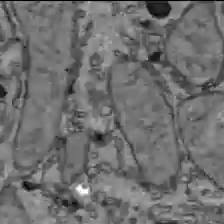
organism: C57BL Mouse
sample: Liver